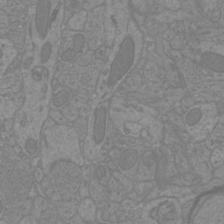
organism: Mouse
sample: Cortical neurons